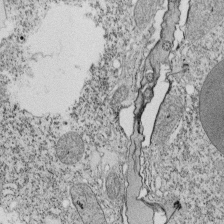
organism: Tetrahymena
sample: Cilia in tetrahymena